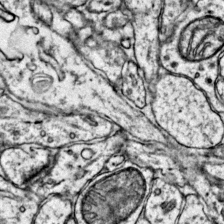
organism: Mouse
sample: Primary visual cortex